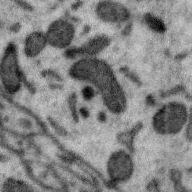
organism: Zebra finch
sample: Brain